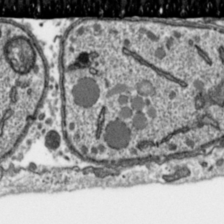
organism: Toxoplasma gondii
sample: Parasites in a vacuole inside a host cell